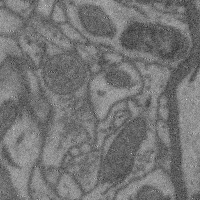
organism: Mouse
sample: Cerebral cortex